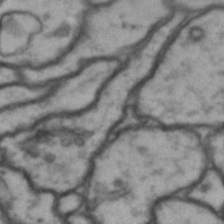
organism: Drosophila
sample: Brain